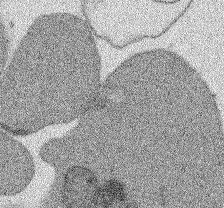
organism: Human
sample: HeLa cells